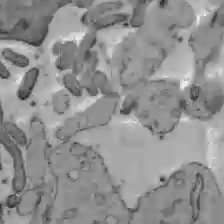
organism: C57BL Mouse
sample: Liver